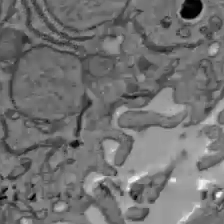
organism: C57BL Mouse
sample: Liver